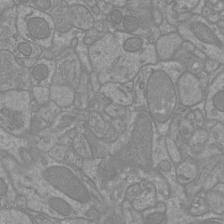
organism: Mouse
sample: Cortical neurons